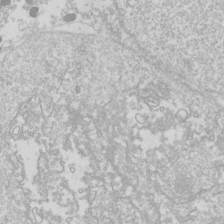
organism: Drosophila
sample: Cell division; meiosis; drosophila spermatocytes